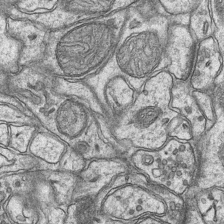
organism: Mouse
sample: CA1 Hippocampus